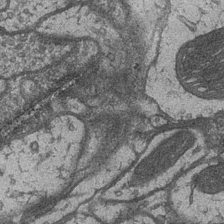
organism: Drosophila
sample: Optic medulla